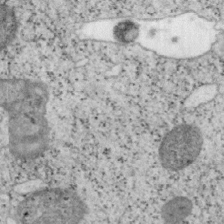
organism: Mouse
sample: OT-I killer T cells with ID8 ovarian cancer cells